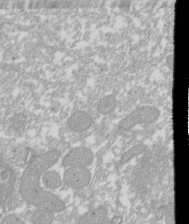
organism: Xenopus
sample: Cilia; centrioles in frog embryo cells